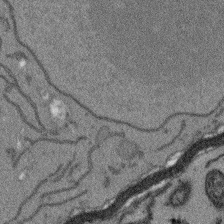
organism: Arabidopsis thaliana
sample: Root tip